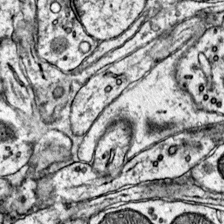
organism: Mouse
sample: Primary visual cortex